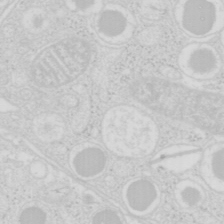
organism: Mouse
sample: Pancreas